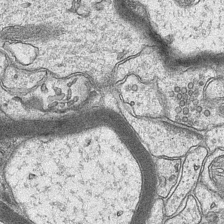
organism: Mouse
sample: CA1 Hippocampus